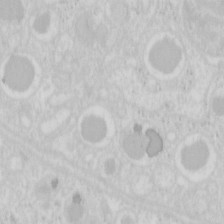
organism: Mouse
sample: Pancreas